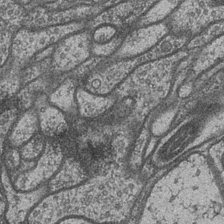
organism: Drosophila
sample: Optic medulla